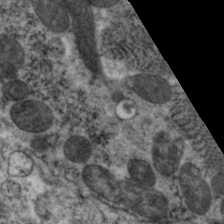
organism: C. elegans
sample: Pharynx